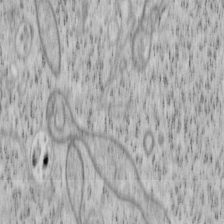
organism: Human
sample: HeLa cells